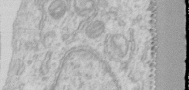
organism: Human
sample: Centriole in RPE cells